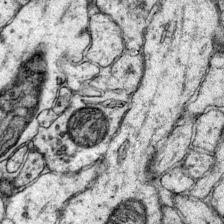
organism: Mouse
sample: Primary visual cortex